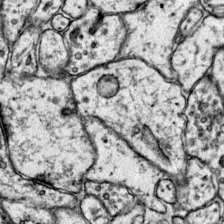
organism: Mouse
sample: Primary visual cortex